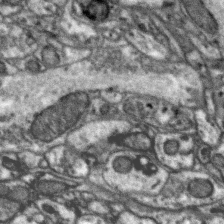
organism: Zebra finch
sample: Brain